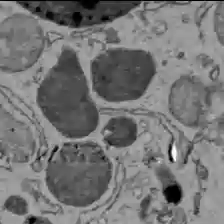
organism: C57BL Mouse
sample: Liver